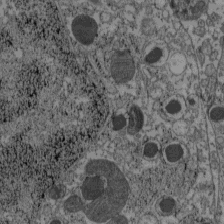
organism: C57BL Mouse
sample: Pancreatic islet